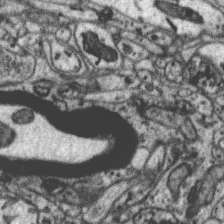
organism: Zebra finch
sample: Brain